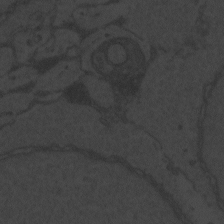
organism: Zebrafish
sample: Macrophage infected with Toxoplasma gondii